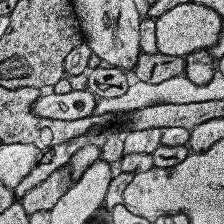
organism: Human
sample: Temporal Lobe